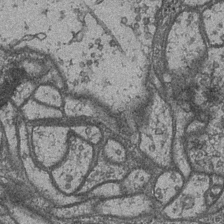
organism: Drosophila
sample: Optic medulla